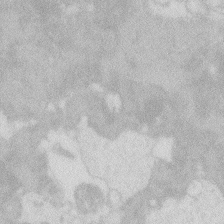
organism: Zebrafish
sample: Macrophage